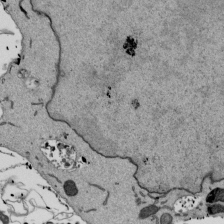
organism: Mouse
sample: ED-1 cell nuclei; centrioles